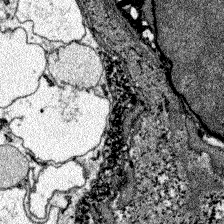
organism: Zebrafish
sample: Larval olfactory bulb